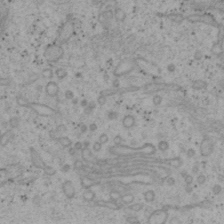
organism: Human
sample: HeLa cells